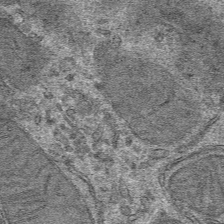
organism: Mouse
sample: Mouse hepatocytes